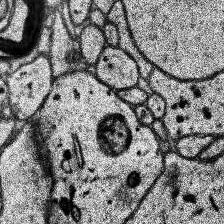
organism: Human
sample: Temporal Lobe